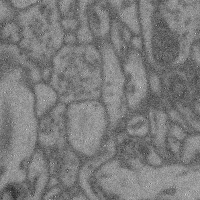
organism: Mouse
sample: Cerebral cortex